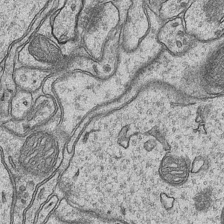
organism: Mouse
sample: CA1 Hippocampus